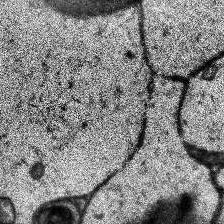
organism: Human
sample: Temporal Lobe